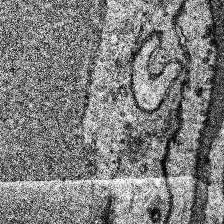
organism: Human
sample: Temporal Lobe